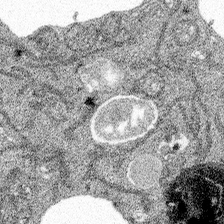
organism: Spongilla lacustris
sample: Multiple